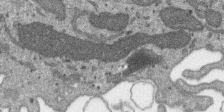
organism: Human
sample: Lung epithelial cells infected with SARS-CoV-2